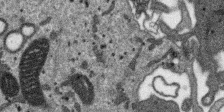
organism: Human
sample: Lung epithelial cells infected with SARS-CoV-2